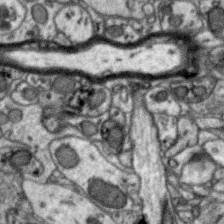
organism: Zebra finch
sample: Brain